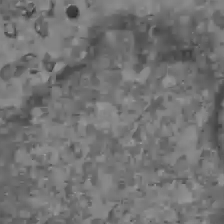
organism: C57BL Mouse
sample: Liver